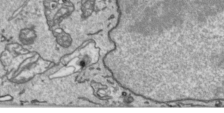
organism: Human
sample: Mitochondria in HCT116 cells